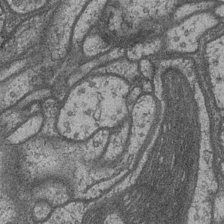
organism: Drosophila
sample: Optic medulla